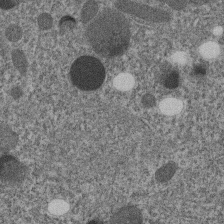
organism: C. elegans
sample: C. elegans embryo early stage